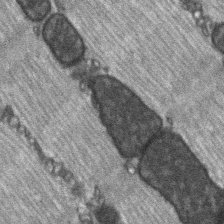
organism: C57BL Mouse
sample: Soleus